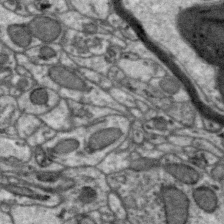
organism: Zebra finch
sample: Brain